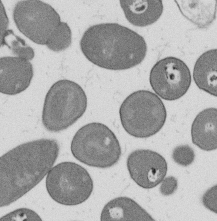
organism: B. subtilis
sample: Bacterial spore